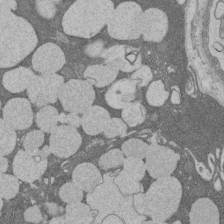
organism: Rat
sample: Salivary granule